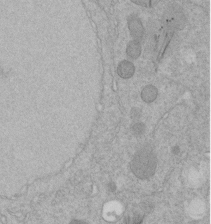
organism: C. elegans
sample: C. elegans embryo early stage